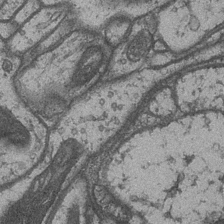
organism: Drosophila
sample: Optic medulla